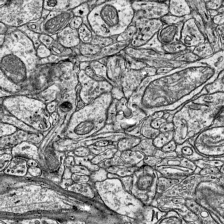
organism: Mouse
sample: Visual Cortex